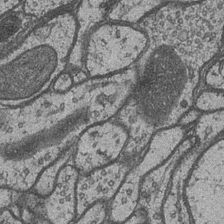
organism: Drosophila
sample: Optic medulla